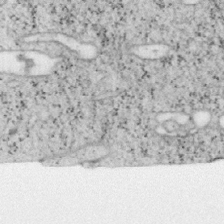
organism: Mouse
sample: OT-I killer T cells with ID8 ovarian cancer cells